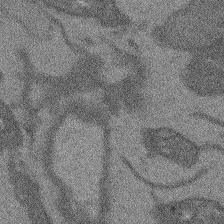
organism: Arabidopsis thaliana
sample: Root tip